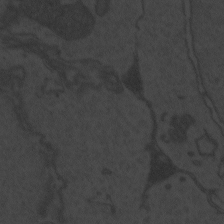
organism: Zebrafish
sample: Macrophage infected with Toxoplasma gondii